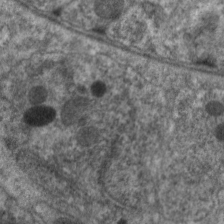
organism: C. elegans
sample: Pharynx